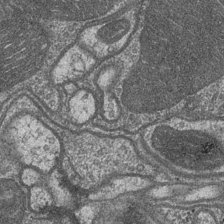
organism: Drosophila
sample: Optic medulla